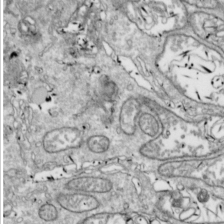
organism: Drosophila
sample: Cell division; meiosis; drosophila spermatocytes